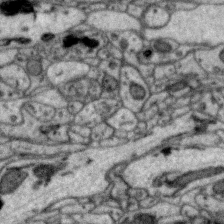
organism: Zebra finch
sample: Brain